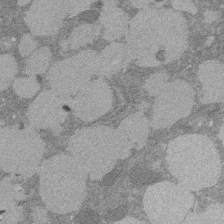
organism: Rat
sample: Salivary granule